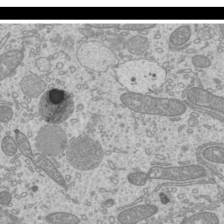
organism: Mouse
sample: Cilia; mouse epididymis